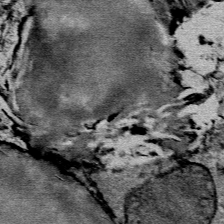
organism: Mouse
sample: Mouse Salivary gland